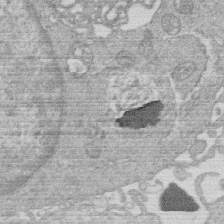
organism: Human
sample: Macrophage cells